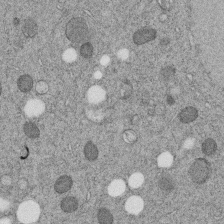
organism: C. elegans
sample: C. elegans embryo early stage